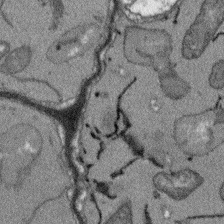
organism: Arabidopsis thaliana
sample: Root tip